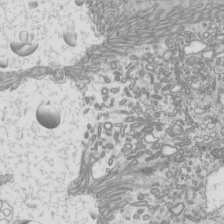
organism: Mouse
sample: Cilia; mouse epididymis